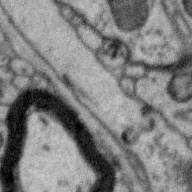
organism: Zebra finch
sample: Brain